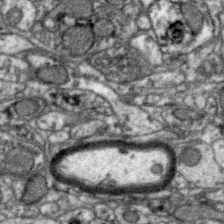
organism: Zebra finch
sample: Brain